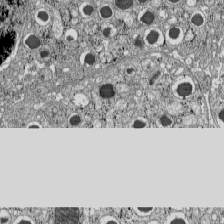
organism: C57BL Mouse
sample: Pancreatic islet